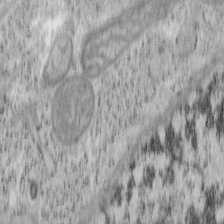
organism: Human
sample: HeLa cells